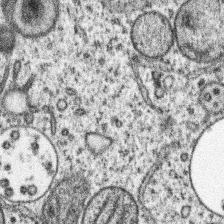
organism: Human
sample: HeLa cells